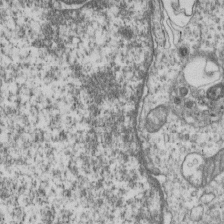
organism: Human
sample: MDA-MB-231 cells